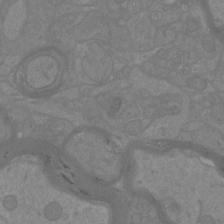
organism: Mouse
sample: Cortical neurons